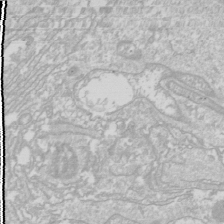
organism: Drosophila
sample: Cell division; meiosis; drosophila spermatocytes